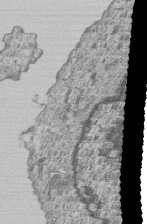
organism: Human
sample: MDA-MB-231 cells